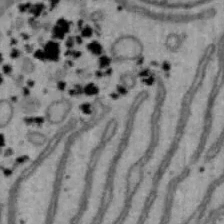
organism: Mouse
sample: Liver